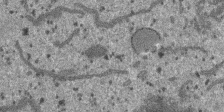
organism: Human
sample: Lung epithelial cells infected with SARS-CoV-2